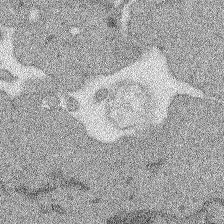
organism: Human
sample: HeLa cells